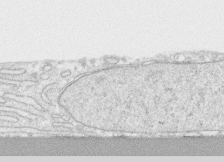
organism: Human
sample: CRL-1474